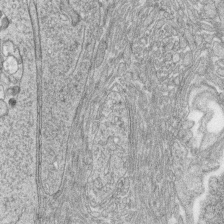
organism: Zebrafish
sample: synaptic ribbons in rod cells and cone cells